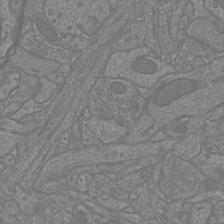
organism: Mouse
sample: Cortical neurons